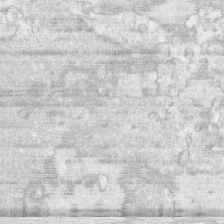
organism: Human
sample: CRL-1474